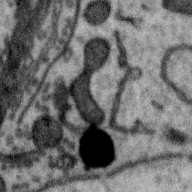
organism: Zebra finch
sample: Brain